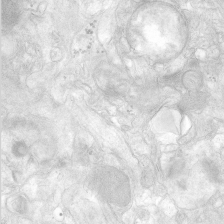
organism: Human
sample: Neocortex